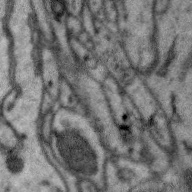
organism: Zebra finch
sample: Brain